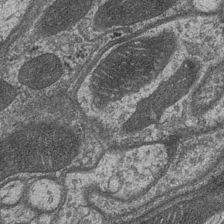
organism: Drosophila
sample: Optic medulla